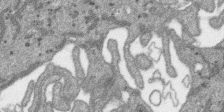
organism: Human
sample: Lung epithelial cells infected with SARS-CoV-2